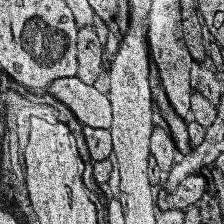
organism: Human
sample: Temporal Lobe